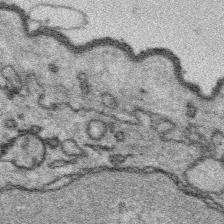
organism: Platynereis dumerilii